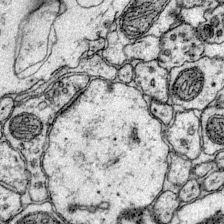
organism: Mouse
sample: Primary visual cortex